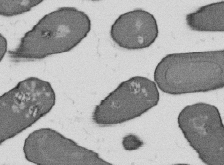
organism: B. subtilis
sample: Bacterial spore